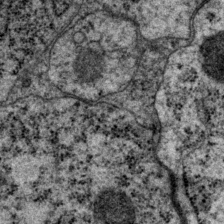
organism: P. pacificus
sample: Pharynx